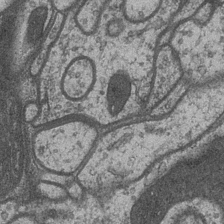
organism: Drosophila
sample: Optic medulla